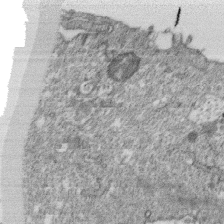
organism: African green monkey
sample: Vero E6 cells infected with SARS-CoV-2